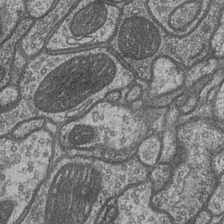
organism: Drosophila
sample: Optic medulla